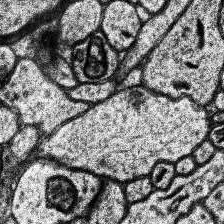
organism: Human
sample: Temporal Lobe